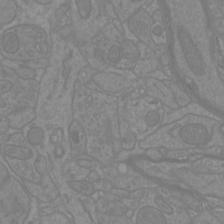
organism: Mouse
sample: Cortical neurons